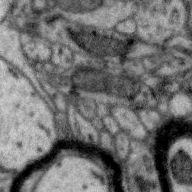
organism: Zebra finch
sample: Brain